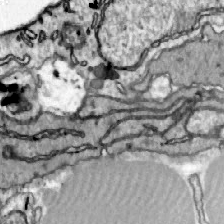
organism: Zebrafish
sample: Actinotrichia fibers